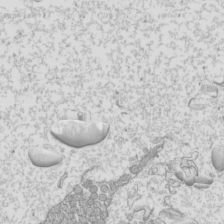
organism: Mouse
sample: Cilia; mouse epididymis